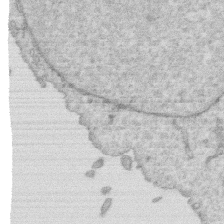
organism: Human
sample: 1205lu cells